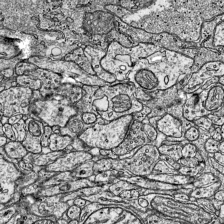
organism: Mouse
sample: Visual Cortex